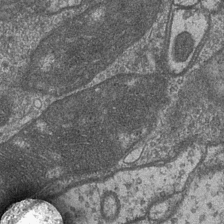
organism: Drosophila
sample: Optic medulla